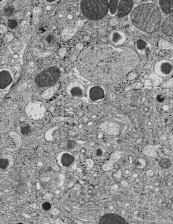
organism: C57BL Mouse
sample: Pancreatic islet